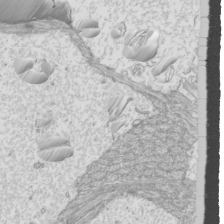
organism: Mouse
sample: Cilia; mouse epididymis